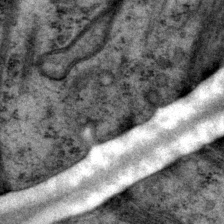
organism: P. pacificus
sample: Pharynx